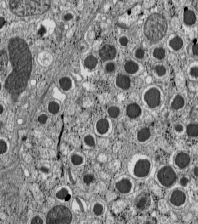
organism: C57BL Mouse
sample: Pancreatic islet